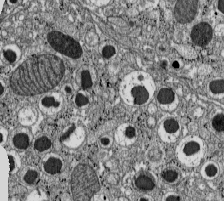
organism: C57BL Mouse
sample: Pancreatic islet